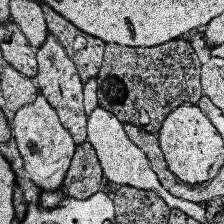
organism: Human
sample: Temporal Lobe